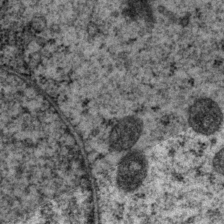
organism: P. pacificus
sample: Pharynx